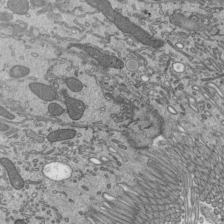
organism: Mouse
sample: Mouse epididymis efferent ductule cilia